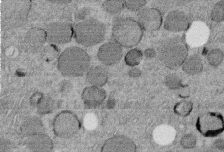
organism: C. elegans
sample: C. elegans embryo early stage